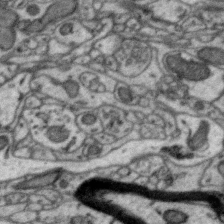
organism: Zebra finch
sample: Brain